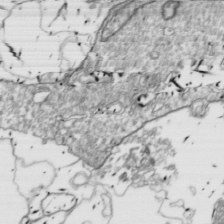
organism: Drosophila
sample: Cell division; meiosis; drosophila spermatocytes